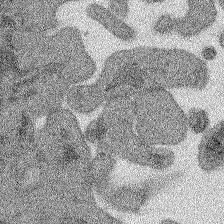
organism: Human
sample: HeLa cells